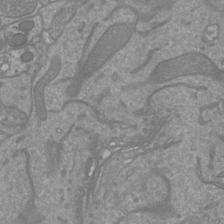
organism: Mouse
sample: Cortical neurons